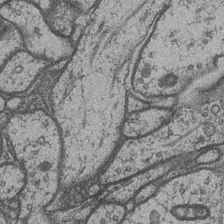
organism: Drosophila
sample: Optic medulla